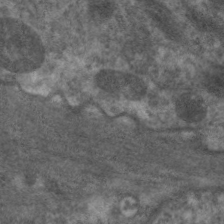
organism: C. elegans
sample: Pharynx